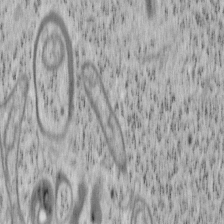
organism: Human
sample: HeLa cells